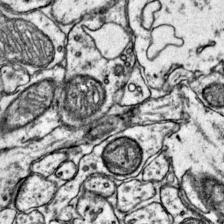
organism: Mouse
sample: Primary visual cortex